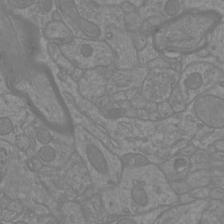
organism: Mouse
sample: Cortical neurons